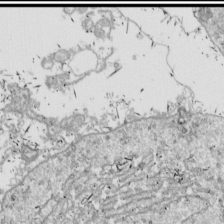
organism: Drosophila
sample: Cell division; meiosis; drosophila spermatocytes